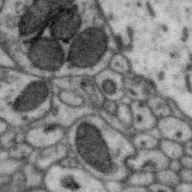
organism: Zebra finch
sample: Brain